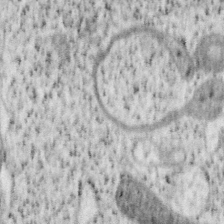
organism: Mouse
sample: OT-I killer T cells with ID8 ovarian cancer cells